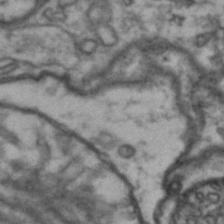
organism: Drosophila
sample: Brain